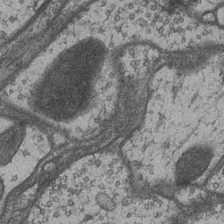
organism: Drosophila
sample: Optic medulla